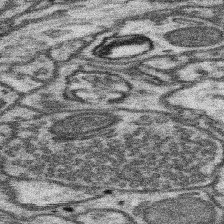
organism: Mouse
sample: Somatosensory cortex neuropil